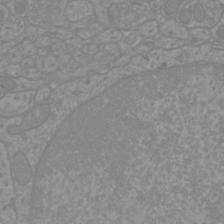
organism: Mouse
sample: Cortical neurons